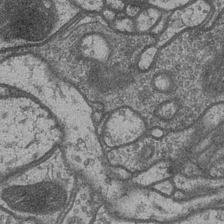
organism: Drosophila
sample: Optic medulla